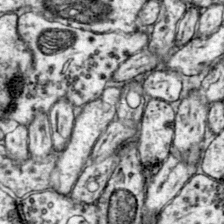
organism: Mouse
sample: Primary visual cortex